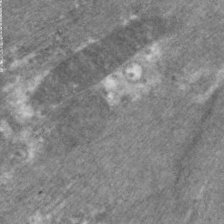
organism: C. elegans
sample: Pharynx